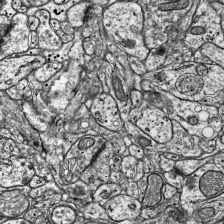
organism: Mouse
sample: Visual Cortex